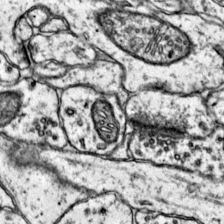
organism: Mouse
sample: Primary visual cortex